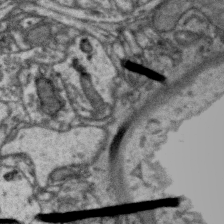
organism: Zebra finch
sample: Brain